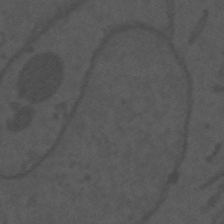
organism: Mouse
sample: Suprachiasmatic nucleus